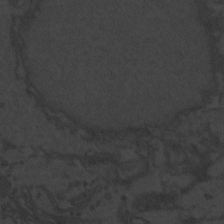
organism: Zebrafish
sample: Macrophage infected with Toxoplasma gondii